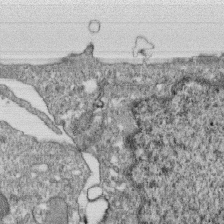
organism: African green monkey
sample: Vero E6 cells infected with SARS-CoV-2